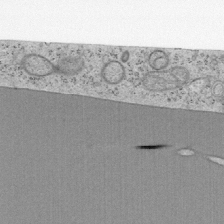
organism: Human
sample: HeLa cells